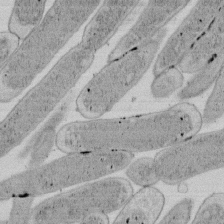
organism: E. coli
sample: Bacterial nucleoid